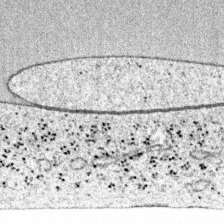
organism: Human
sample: HeLa cells